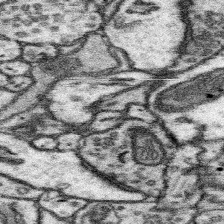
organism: Mouse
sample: Somatosensory cortex neuropil